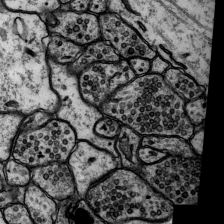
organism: Rat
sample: Hippocampus